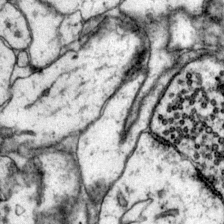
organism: Mouse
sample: Primary visual cortex